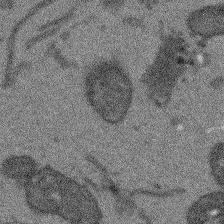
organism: Arabidopsis thaliana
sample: Root tip